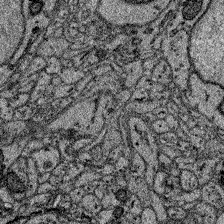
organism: Zebrafish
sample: Larval olfactory bulb